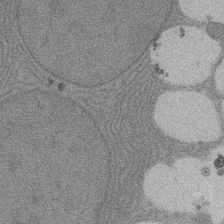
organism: Rat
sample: Salivary granule